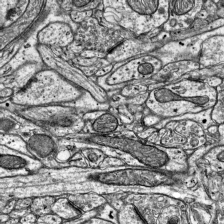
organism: Mouse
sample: Visual Cortex